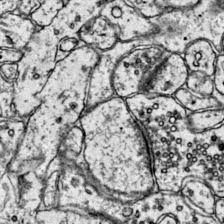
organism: Mouse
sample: Primary visual cortex